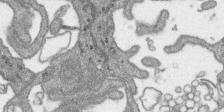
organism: Human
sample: Lung epithelial cells infected with SARS-CoV-2